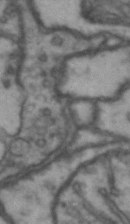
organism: Drosophila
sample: Brain